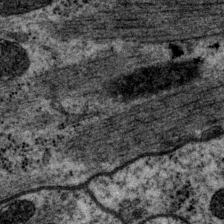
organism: P. pacificus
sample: Pharynx